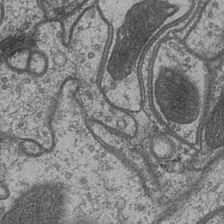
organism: Drosophila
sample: Optic medulla